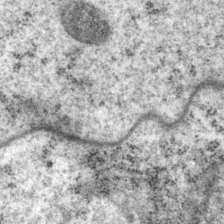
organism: P. pacificus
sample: Pharynx